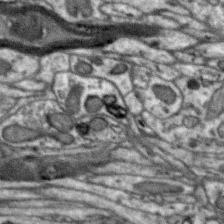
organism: Zebra finch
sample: Brain